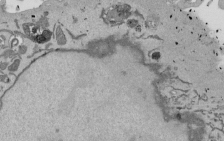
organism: Mouse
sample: ED-1 cell nuclei; centrioles